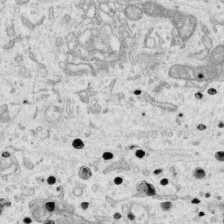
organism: Human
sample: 1205lu cells